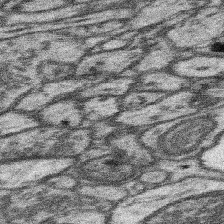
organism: Mouse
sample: Somatosensory cortex neuropil